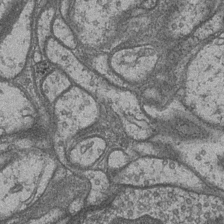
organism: Drosophila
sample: Optic medulla